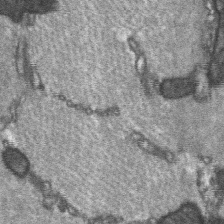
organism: C57BL Mouse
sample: Soleus